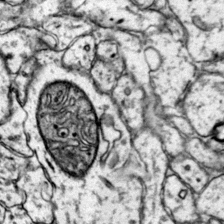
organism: Mouse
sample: Primary visual cortex